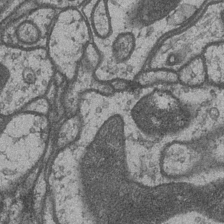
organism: Drosophila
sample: Optic medulla